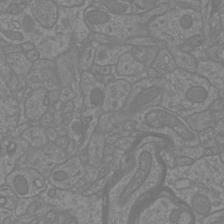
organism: Mouse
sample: Cortical neurons